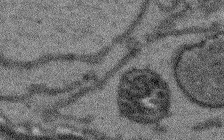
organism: Arabidopsis thaliana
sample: Root tip